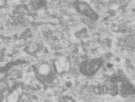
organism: Human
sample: Centriole in RPE cells